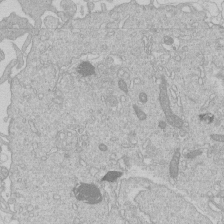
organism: Human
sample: Macrophage cells